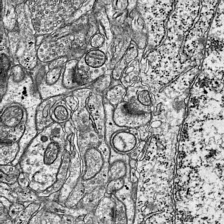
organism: Mouse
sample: Visual Cortex